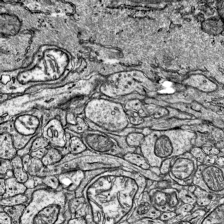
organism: Mouse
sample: Visual Cortex